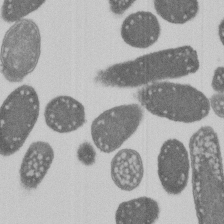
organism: E. coli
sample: Bacterial nucleoid